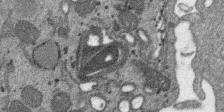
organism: Human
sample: Lung epithelial cells infected with SARS-CoV-2